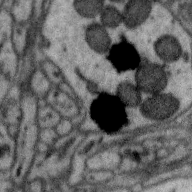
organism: Zebra finch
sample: Brain